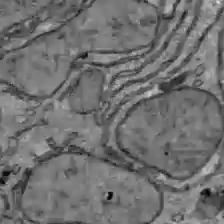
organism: C57BL Mouse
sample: Liver